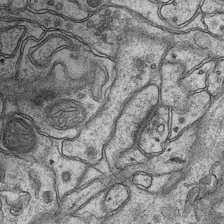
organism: Mouse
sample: CA1 Hippocampus